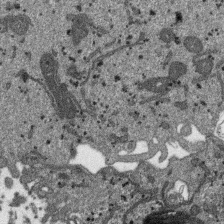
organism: Human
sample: Lung epithelial cells infected with SARS-CoV-2